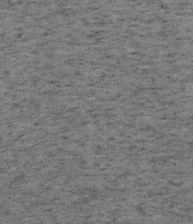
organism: Mouse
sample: OT-I killer T cells with ID8 ovarian cancer cells